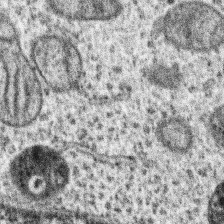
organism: Human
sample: HeLa cells